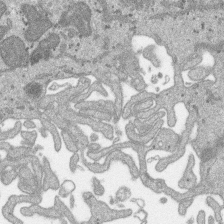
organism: Human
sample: Lung epithelial cells infected with SARS-CoV-2